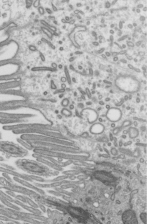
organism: Mouse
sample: Mouse epididymis efferent ductule cilia